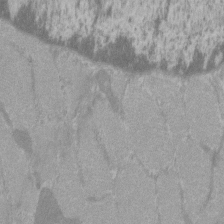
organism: C57BL Mouse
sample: Tibialis anterior muscle cell